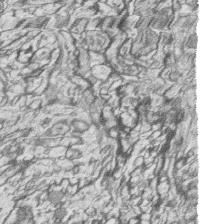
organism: Zebrafish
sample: synaptic ribbons in rod cells and cone cells